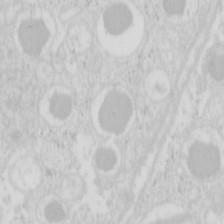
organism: Mouse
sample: Pancreas